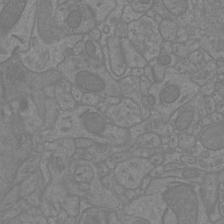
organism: Mouse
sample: Cortical neurons